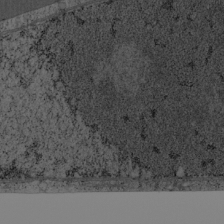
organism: African green monkey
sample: COS-7 cells